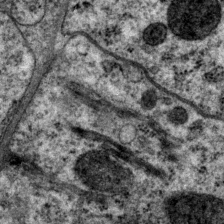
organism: P. pacificus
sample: Pharynx